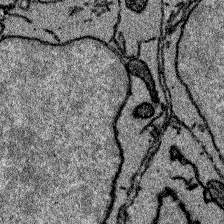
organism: Zebrafish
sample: Larval olfactory bulb